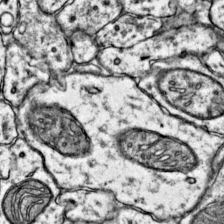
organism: Mouse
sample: Primary visual cortex